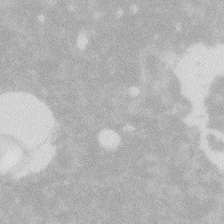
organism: Zebrafish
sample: Macrophage